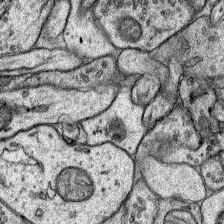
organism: Rat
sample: Hippocampus